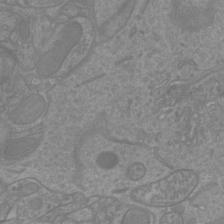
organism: Mouse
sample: Cortical neurons